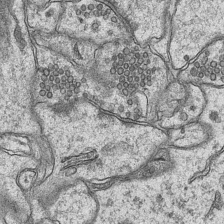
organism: Mouse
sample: CA1 Hippocampus